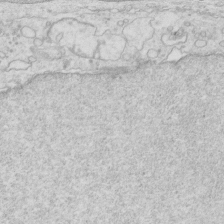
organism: Mouse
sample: Multiciliated cells